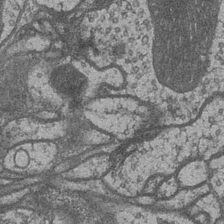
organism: Drosophila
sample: Optic medulla